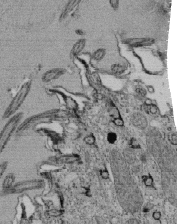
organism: Tetrahymena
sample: Cilia in tetrahymena